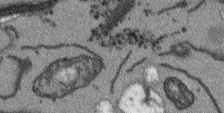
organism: Arabidopsis thaliana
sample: Root tip